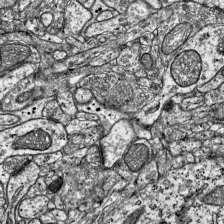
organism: Mouse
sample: Visual Cortex